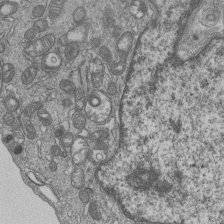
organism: Human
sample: MDA-MB-231 cells